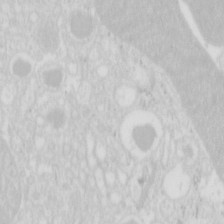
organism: Mouse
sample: Pancreas